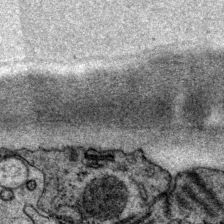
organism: P. pacificus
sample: Pharynx